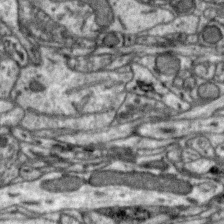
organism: Zebra finch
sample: Brain